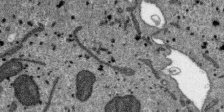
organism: Human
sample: Lung epithelial cells, uninfected (mock) control